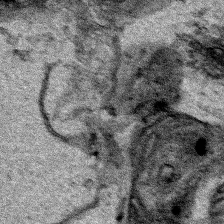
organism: Human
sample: Mitochondria in HCT116 cells